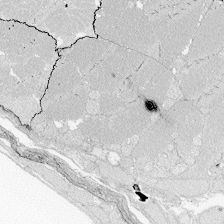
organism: Zebrafish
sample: Whole-Brain